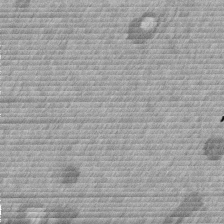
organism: Mouse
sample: Dividing mouse embryo 1 cell stage